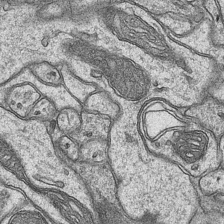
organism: Mouse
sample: CA1 Hippocampus